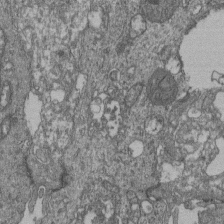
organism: Human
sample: Retinal organoid Rod and Cone cells